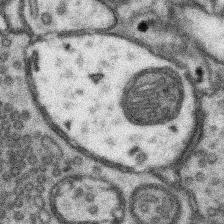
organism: Mouse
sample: Somatosensory cortex neuropil